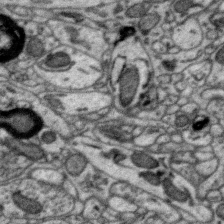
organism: Zebra finch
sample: Brain